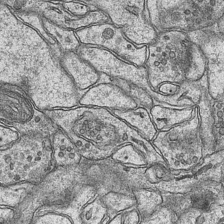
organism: Mouse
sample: CA1 Hippocampus